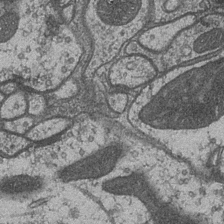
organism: Drosophila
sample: Optic medulla